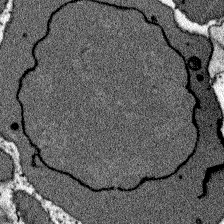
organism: Zebrafish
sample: Larval olfactory bulb